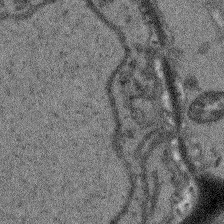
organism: Arabidopsis thaliana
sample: Root tip